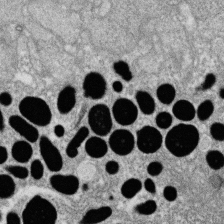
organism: Zebrafish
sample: Cilia; retinal pigment epithelium